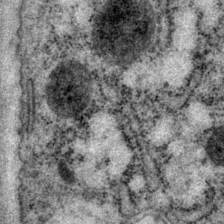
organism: P. pacificus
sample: Pharynx